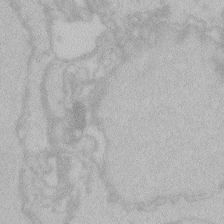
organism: Zebrafish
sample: Macrophage infected with Toxoplasma gondii